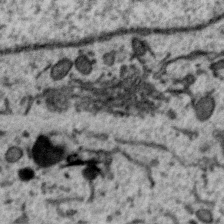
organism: Zebra finch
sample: Brain